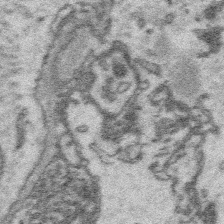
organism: Platynereis dumerilii